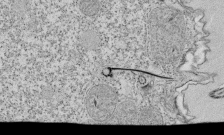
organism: Tetrahymena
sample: Cilia in tetrahymena